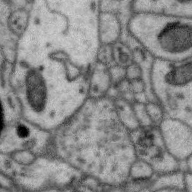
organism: Zebra finch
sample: Brain